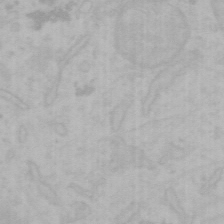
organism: Mouse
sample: Choroid plexus